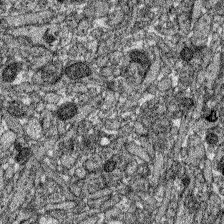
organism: Zebrafish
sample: Larval olfactory bulb